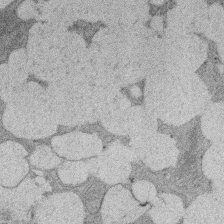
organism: Rat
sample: Salivary granule